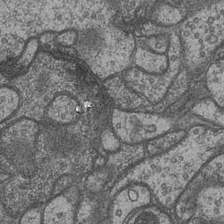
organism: Drosophila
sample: Optic medulla